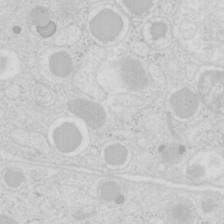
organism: Mouse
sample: Pancreas